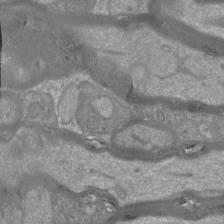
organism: Mouse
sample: Cortical neurons